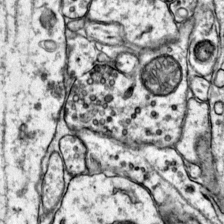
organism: Mouse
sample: Primary visual cortex